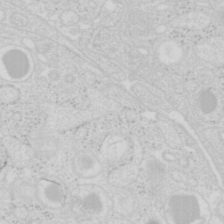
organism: Mouse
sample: Pancreas